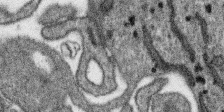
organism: Human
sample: Lung epithelial cells infected with SARS-CoV-2